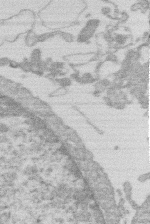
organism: Human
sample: Macrophage cells